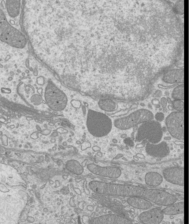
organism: Mouse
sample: Cilia; mouse epididymis